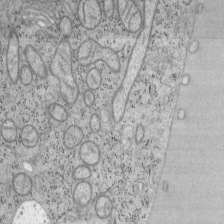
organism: Mouse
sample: OT-I killer T cells with ID8 ovarian cancer cells